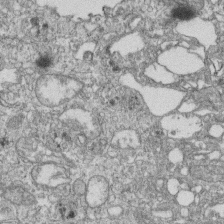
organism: Human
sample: HeLa cell HIV synapse